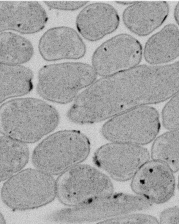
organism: E. coli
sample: Bacterial nucleoid